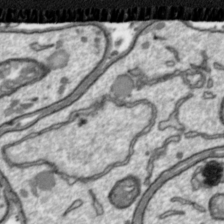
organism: Toxoplasma gondii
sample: Parasites in a vacuole inside a host cell